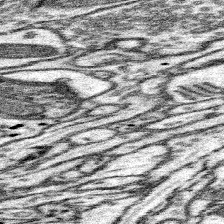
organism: Mouse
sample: Somatosensory cortex neuropil